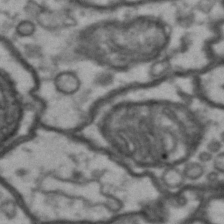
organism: Drosophila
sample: Brain